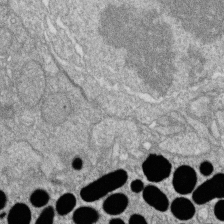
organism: Zebrafish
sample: Cilia; retinal pigment epithelium